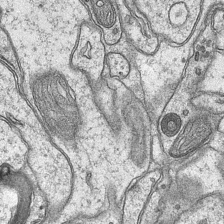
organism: Mouse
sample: CA1 Hippocampus